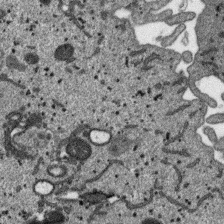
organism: Human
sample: Lung epithelial cells infected with SARS-CoV-2